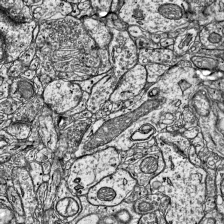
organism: Mouse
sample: Visual Cortex